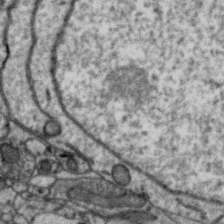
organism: Zebra finch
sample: Brain